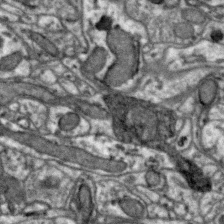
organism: Zebra finch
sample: Brain